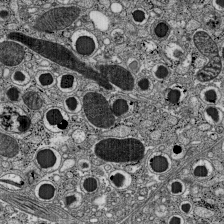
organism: C57BL Mouse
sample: Pancreatic islet